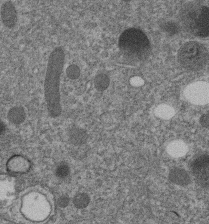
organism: C. elegans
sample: C. elegans embryo early stage